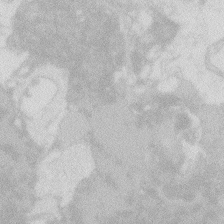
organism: Zebrafish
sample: Macrophage